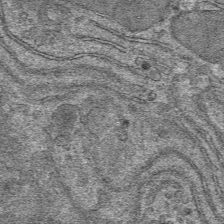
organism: Mouse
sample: Mouse hepatocytes